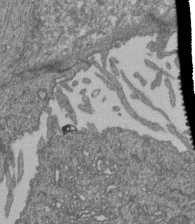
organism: Human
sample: Retinal organoid Rod and Cone cells